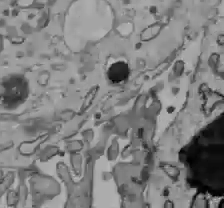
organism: C57BL Mouse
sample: Liver